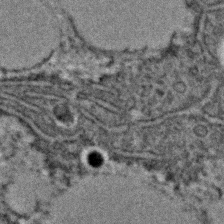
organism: C. elegans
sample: C. elegans embryo